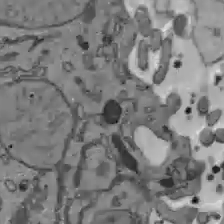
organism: C57BL Mouse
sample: Liver